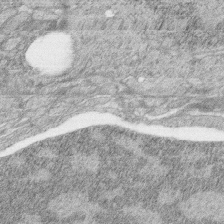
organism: Zebrafish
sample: synaptic ribbons in rod cells and cone cells